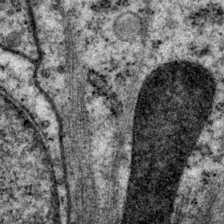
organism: P. pacificus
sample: Pharynx